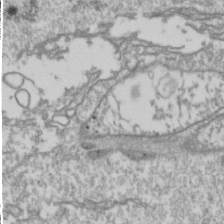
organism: Drosophila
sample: Cell division; meiosis; drosophila spermatocytes